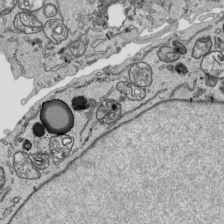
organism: Human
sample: Mitochondria in HCT116 cells